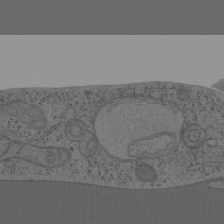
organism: Human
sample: HeLa cells